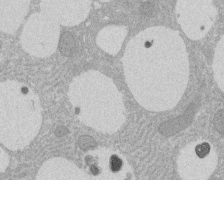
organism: Rat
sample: Salivary granule